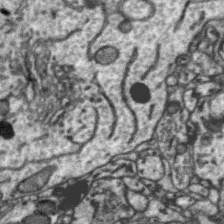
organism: Zebra finch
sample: Brain